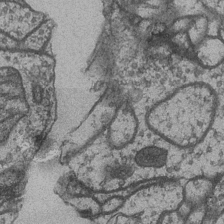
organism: Drosophila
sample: Optic medulla